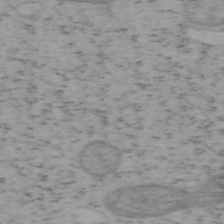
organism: Mouse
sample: OT-I killer T cells with ID8 ovarian cancer cells